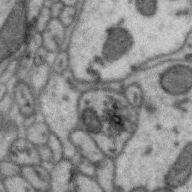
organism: Zebra finch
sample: Brain